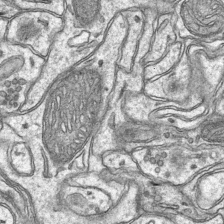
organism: Mouse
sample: CA1 Hippocampus